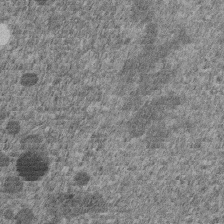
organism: C. elegans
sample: C. elegans embryo early stage